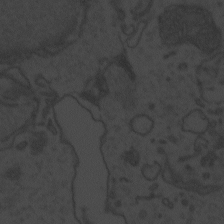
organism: Zebrafish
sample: Macrophage infected with Toxoplasma gondii